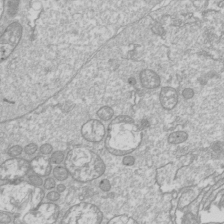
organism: Drosophila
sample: Cell division; meiosis; drosophila spermatocytes